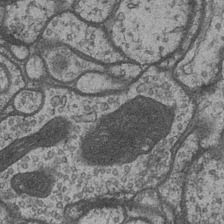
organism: Drosophila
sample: Optic medulla